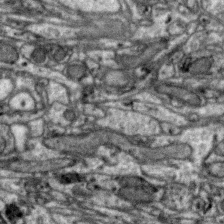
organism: Zebra finch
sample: Brain